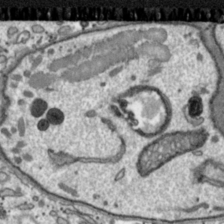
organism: Toxoplasma gondii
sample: Parasites in a vacuole inside a host cell